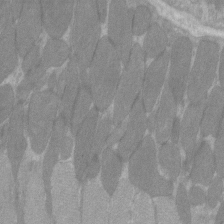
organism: C57BL Mouse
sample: Tibialis anterior muscle cell